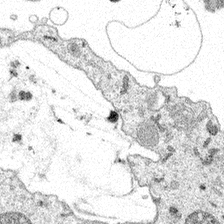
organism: Spongilla lacustris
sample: Multiple